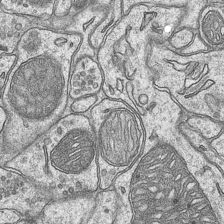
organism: Mouse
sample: CA1 Hippocampus